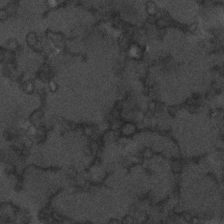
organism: C. elegans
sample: C. elegans embryo